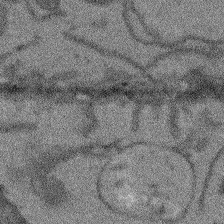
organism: Arabidopsis thaliana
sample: Root tip